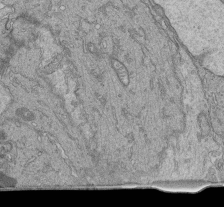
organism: Human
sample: Retinal organoid Rod and Cone cells